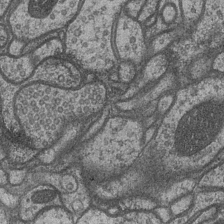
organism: Drosophila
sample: Optic medulla